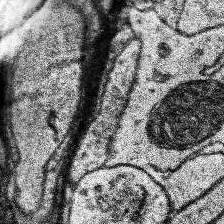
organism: Human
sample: Temporal Lobe